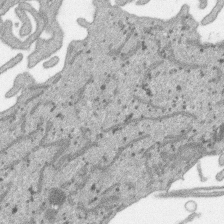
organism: Human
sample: Lung epithelial cells infected with SARS-CoV-2